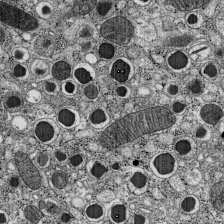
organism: C57BL Mouse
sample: Pancreatic islet